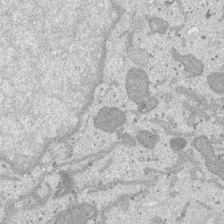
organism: Human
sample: Lung epithelial cells infected with SARS-CoV-2